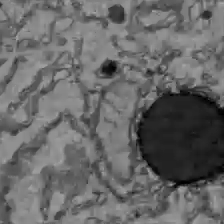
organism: C57BL Mouse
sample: Liver